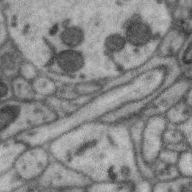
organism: Zebra finch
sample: Brain